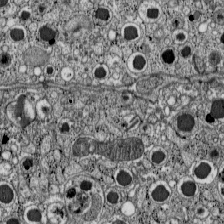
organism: C57BL Mouse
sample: Pancreatic islet